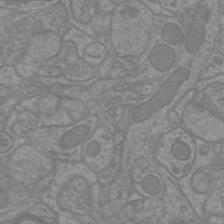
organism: Mouse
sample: Cortical neurons